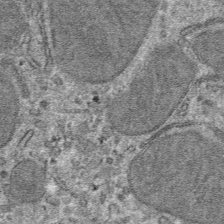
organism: Mouse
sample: Mouse hepatocytes